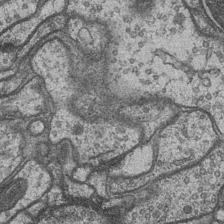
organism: Drosophila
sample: Optic medulla